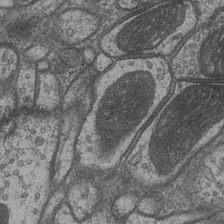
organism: Drosophila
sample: Optic medulla